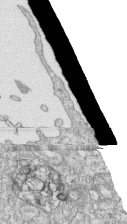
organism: Human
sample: HeLa cell HIV synapse